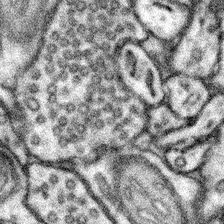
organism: Mouse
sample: Somatosensory cortex neuropil